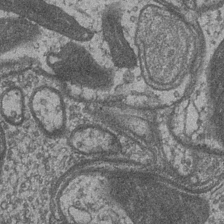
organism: Drosophila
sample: Optic medulla